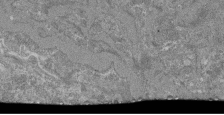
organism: Mouse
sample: Glomerulus